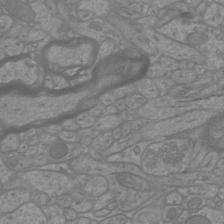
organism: Mouse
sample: Cortical neurons